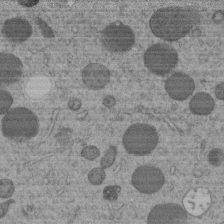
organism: C. elegans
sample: C. elegans embryo early stage